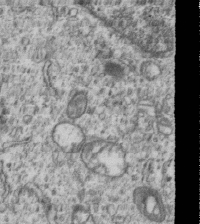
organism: Human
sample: MDA-MB-231 cells